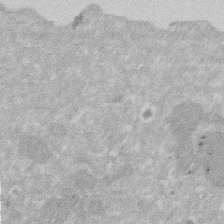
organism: Human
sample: HIV infected U937 cells